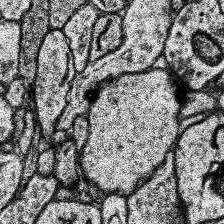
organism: Human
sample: Temporal Lobe